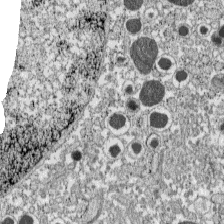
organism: C57BL Mouse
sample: Pancreatic islet